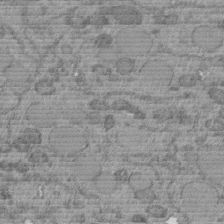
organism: C. elegans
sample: C. elegans embryo early stage